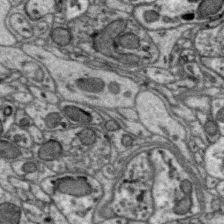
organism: Zebra finch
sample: Brain